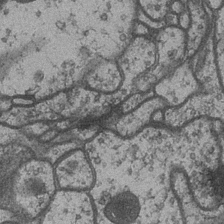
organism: Drosophila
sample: Optic medulla